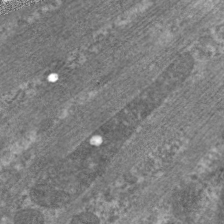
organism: C. elegans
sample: Pharynx